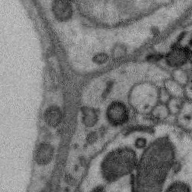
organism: Zebra finch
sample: Brain